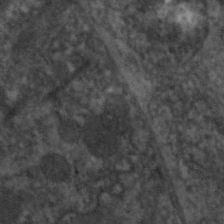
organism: C. elegans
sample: Pharynx